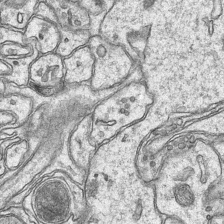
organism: Mouse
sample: CA1 Hippocampus